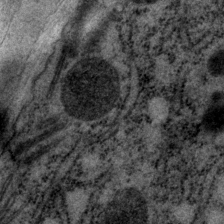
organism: P. pacificus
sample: Pharynx